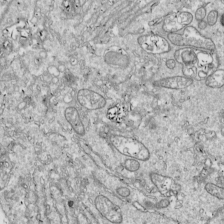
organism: Drosophila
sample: Cell division; meiosis; drosophila spermatocytes